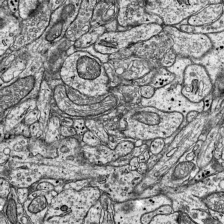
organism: Mouse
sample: Visual Cortex